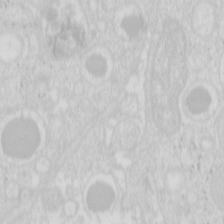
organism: Mouse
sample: Pancreas